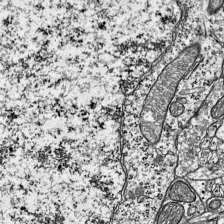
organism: Mouse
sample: Visual Cortex